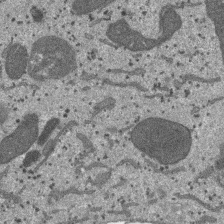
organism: Human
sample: Lung epithelial cells infected with SARS-CoV-2